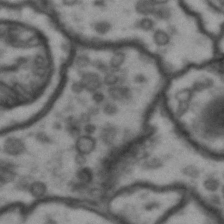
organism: Drosophila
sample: Brain